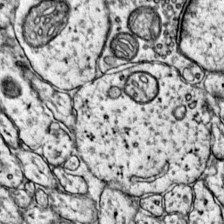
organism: Mouse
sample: Primary visual cortex